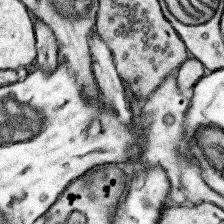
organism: Mouse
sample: Somatosensory cortex neuropil